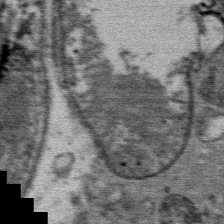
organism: Mouse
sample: Mouse Salivary gland